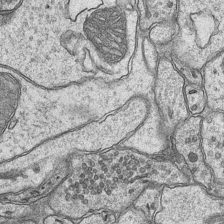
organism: Mouse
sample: CA1 Hippocampus